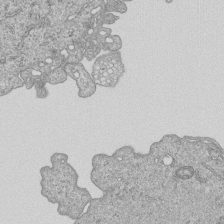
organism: Human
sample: MDA-MB-231 cells